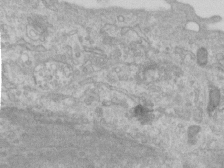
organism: Human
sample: Centriole in RPE cells